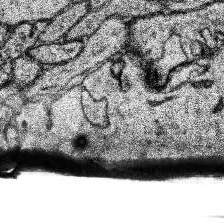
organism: Human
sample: Temporal Lobe